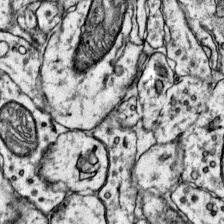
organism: Mouse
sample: Primary visual cortex